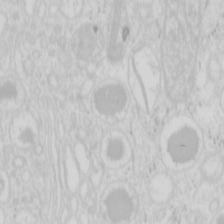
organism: Mouse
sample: Pancreas